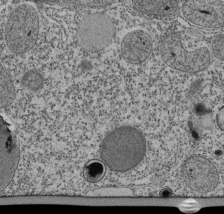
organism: Tetrahymena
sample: Cilia in tetrahymena